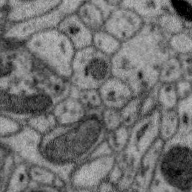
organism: Zebra finch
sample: Brain